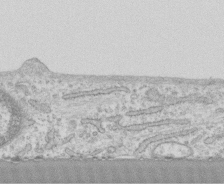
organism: Human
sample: CRL-1474